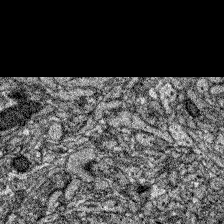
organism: Zebrafish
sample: Larval olfactory bulb